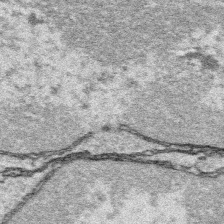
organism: Platynereis dumerilii